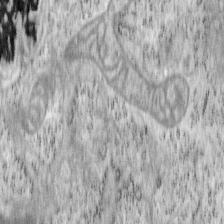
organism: Human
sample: HeLa cells